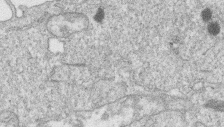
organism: Human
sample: HeLa cell HIV synapse